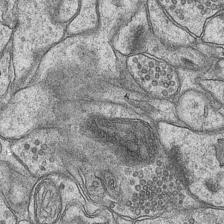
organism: Mouse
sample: CA1 Hippocampus